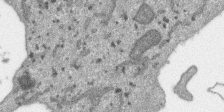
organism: Human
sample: Lung epithelial cells infected with SARS-CoV-2